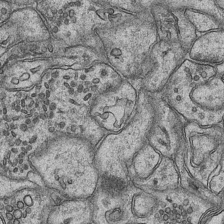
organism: Mouse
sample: CA1 Hippocampus